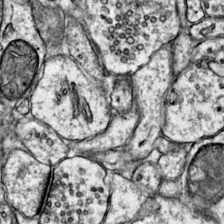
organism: Mouse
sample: Primary visual cortex